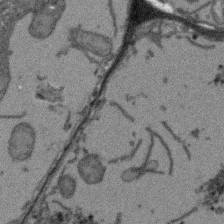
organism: Arabidopsis thaliana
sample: Root tip